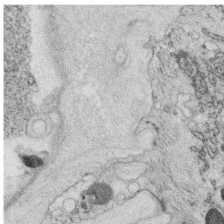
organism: C. elegans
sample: C. elegans oocyte; sperm cells